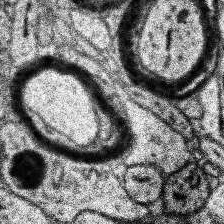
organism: Human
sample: Temporal Lobe